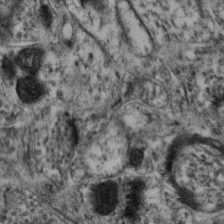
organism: Mouse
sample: Neocortex